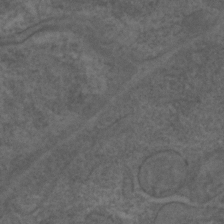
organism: C. elegans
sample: C. elegans embryo